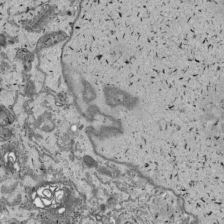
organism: Human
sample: Mitochondria in HCT116 cells